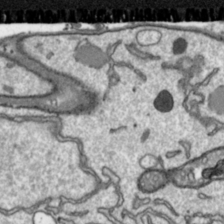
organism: Toxoplasma gondii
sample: Parasites in a vacuole inside a host cell